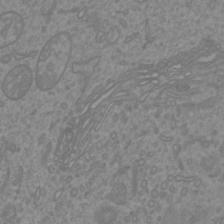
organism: Mouse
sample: Cortical neurons